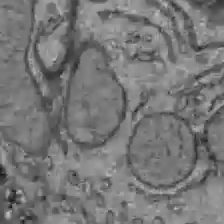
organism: C57BL Mouse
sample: Liver